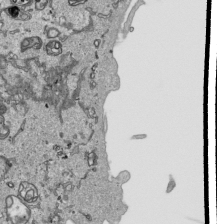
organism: Human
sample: Mitochondria in HCT116 cells